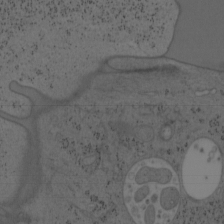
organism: Mouse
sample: OT-I killer T cells with ID8 ovarian cancer cells